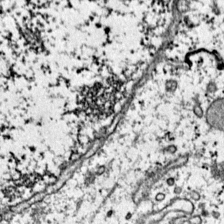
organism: Mouse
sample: Primary visual cortex